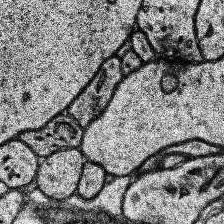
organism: Human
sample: Temporal Lobe